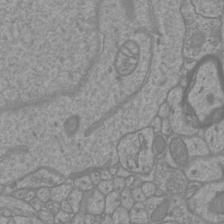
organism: Mouse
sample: Cortical neurons